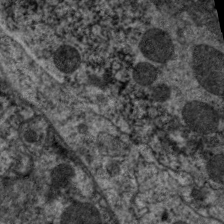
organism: C. elegans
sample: Pharynx